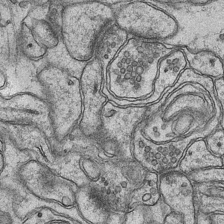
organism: Mouse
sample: CA1 Hippocampus